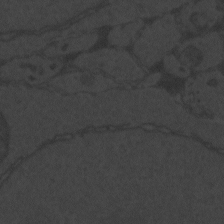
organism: Zebrafish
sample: Macrophage infected with Toxoplasma gondii